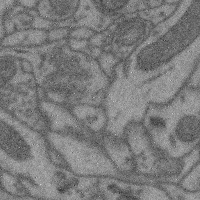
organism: Mouse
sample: Cerebral cortex